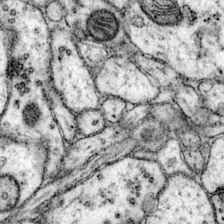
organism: Mouse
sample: Primary visual cortex